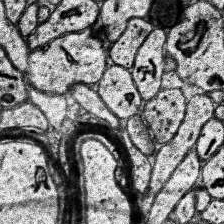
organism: Human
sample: Temporal Lobe